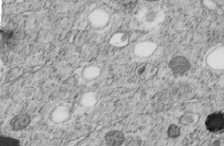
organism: C. elegans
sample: C. elegans embryo early stage